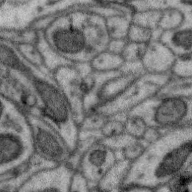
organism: Zebra finch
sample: Brain